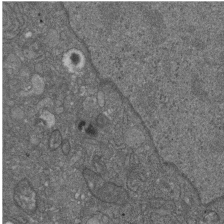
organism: Drosophila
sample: Nephrocyte